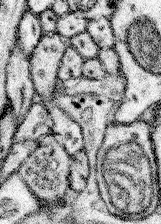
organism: Mouse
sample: Somatosensory cortex neuropil